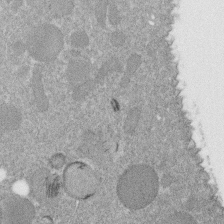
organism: C. elegans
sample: C. elegans embryo early stage